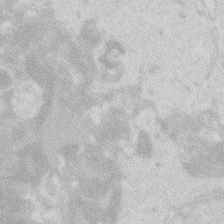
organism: Zebrafish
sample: Macrophage